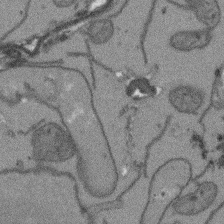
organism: Arabidopsis thaliana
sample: Root tip